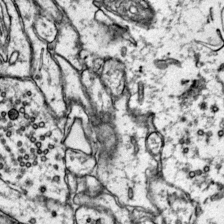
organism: Mouse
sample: Primary visual cortex